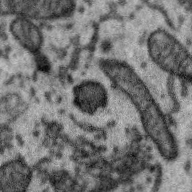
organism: Zebra finch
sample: Brain